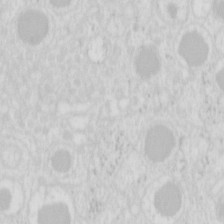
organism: Mouse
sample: Pancreas